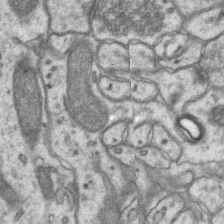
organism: Mouse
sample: CA1 Hippocampus